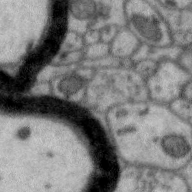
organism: Zebra finch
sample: Brain